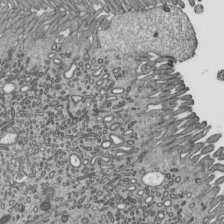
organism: Mouse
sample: Mouse epididymis efferent ductule cilia